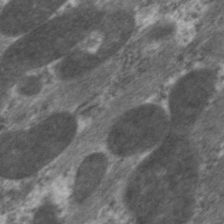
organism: C. elegans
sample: Pharynx